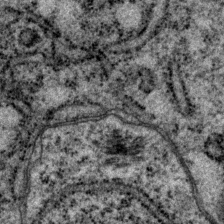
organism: P. pacificus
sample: Pharynx